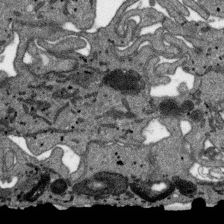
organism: Human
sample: Lung epithelial cells, uninfected (mock) control